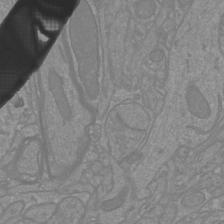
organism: Mouse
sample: Cortical neurons